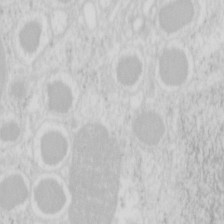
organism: Mouse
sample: Pancreas